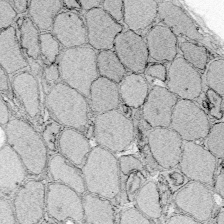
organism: Zebrafish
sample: Whole-Brain